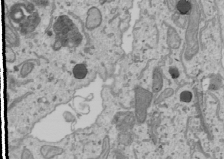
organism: Human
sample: Mitochondria in U2OS cells